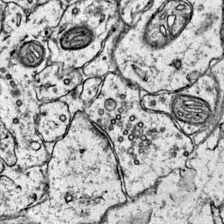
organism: Mouse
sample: Primary visual cortex